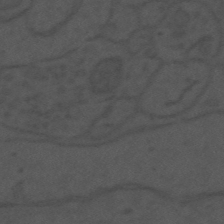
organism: Mouse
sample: Suprachiasmatic nucleus